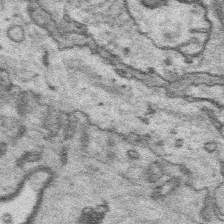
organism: Platynereis dumerilii